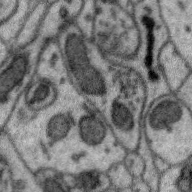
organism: Zebra finch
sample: Brain